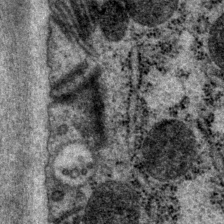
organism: P. pacificus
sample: Pharynx